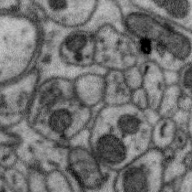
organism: Zebra finch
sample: Brain